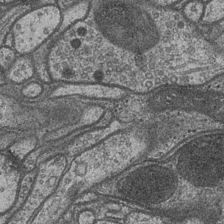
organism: Drosophila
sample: Optic medulla